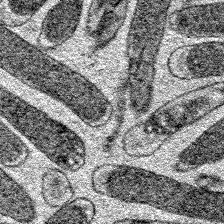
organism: E. coli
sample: E. Coli Bacteria